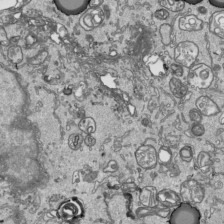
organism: Human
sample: Mitochondria in HCT116 cells